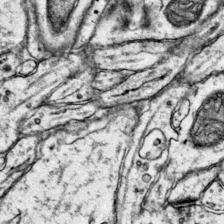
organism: Mouse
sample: Primary visual cortex